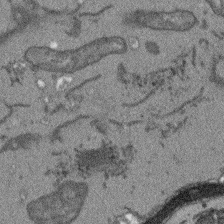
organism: Arabidopsis thaliana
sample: Root tip